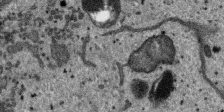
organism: Human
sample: Lung epithelial cells, uninfected (mock) control